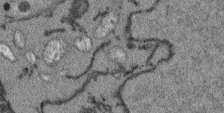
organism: Arabidopsis thaliana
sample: Root tip